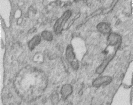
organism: Human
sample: Centriole in RPE cells